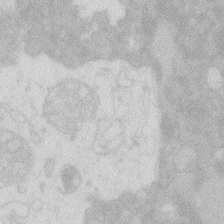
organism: Zebrafish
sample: Macrophage